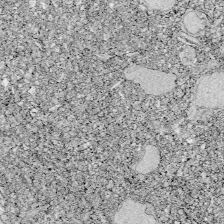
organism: Zebrafish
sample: Whole-Brain